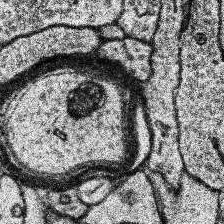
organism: Human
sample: Temporal Lobe